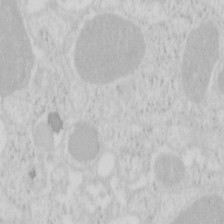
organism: Mouse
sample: Pancreas